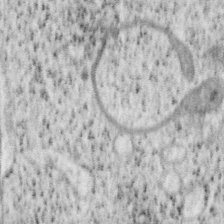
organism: Mouse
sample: OT-I killer T cells with ID8 ovarian cancer cells